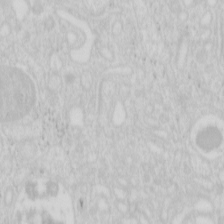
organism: Mouse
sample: Pancreas